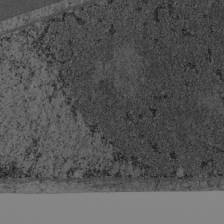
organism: African green monkey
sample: COS-7 cells